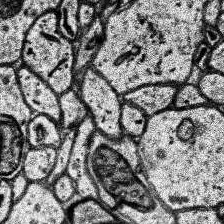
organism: Human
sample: Temporal Lobe